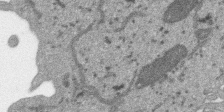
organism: Human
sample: Lung epithelial cells infected with SARS-CoV-2